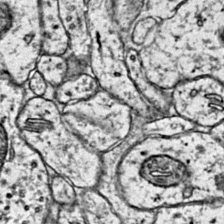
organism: Mouse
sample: Primary visual cortex